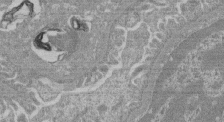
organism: Mouse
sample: Glomerulus